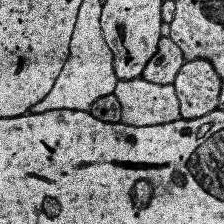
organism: Human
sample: Temporal Lobe